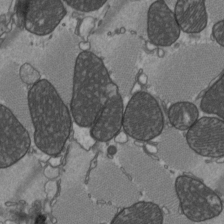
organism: C57BL Mouse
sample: Heart